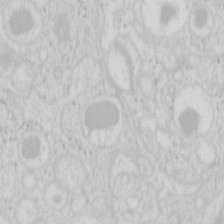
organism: Mouse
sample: Pancreas